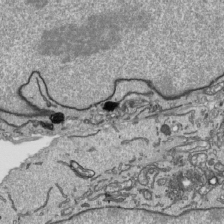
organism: Human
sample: Mitochondria in HCT116 cells